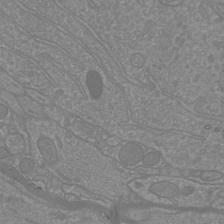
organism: Mouse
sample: Cortical neurons